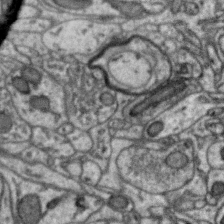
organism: Zebra finch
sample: Brain